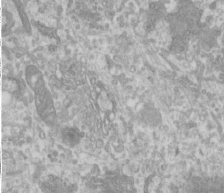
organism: Human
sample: Cilia; basal body in RPE cells